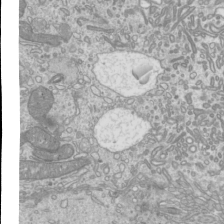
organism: Mouse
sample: Cilia; mouse epididymis